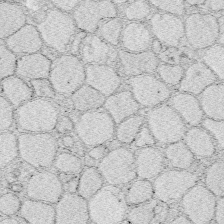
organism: Zebrafish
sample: Whole-Brain